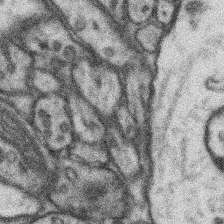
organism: Mouse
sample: Somatosensory cortex neuropil